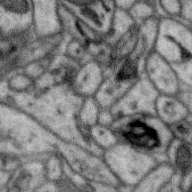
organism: Zebra finch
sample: Brain